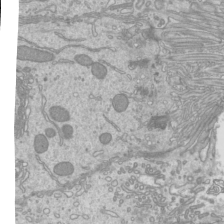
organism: Mouse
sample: Cilia; mouse epididymis